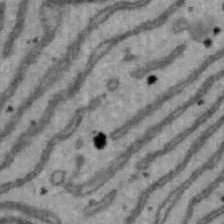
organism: Mouse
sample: Liver